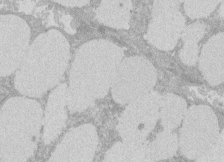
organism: Rat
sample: Salivary granule